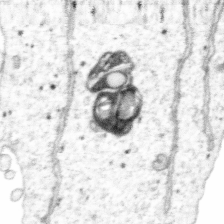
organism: Human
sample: HeLa cells